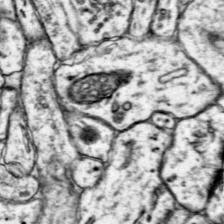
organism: Mouse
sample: Primary visual cortex